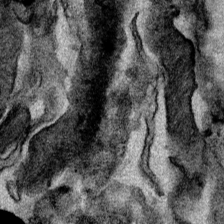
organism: Mouse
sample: Cancer cell death in ED-1 cells